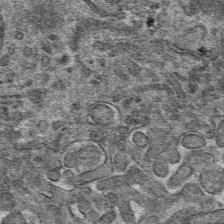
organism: Mouse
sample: Mouse hepatocytes